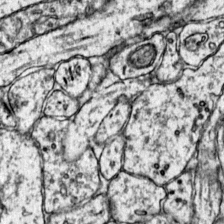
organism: Mouse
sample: Primary visual cortex